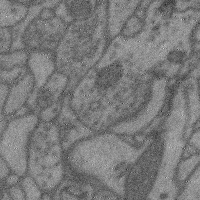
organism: Mouse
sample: Cerebral cortex